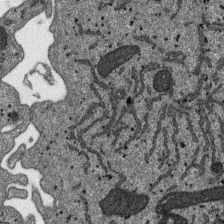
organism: Human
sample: Lung epithelial cells infected with SARS-CoV-2